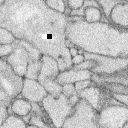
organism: Rabbit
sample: Retina